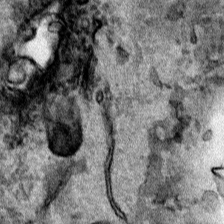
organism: Human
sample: Mitochondria in HCT116 cells